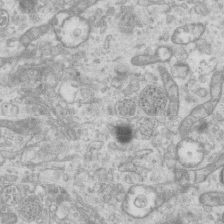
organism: Mouse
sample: Centriole in ependymal cells